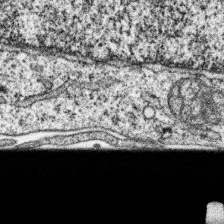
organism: Human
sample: HeLa cells